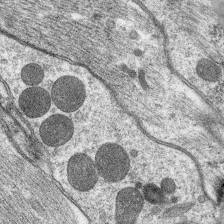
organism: C. elegans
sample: Pharynx